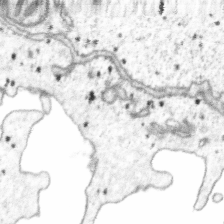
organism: Human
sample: HeLa cells